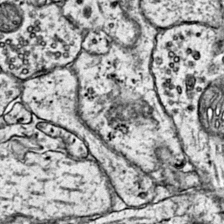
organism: Mouse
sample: Primary visual cortex